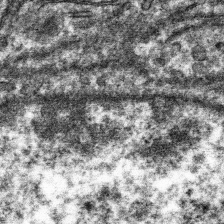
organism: Mouse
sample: Mouse hepatocytes